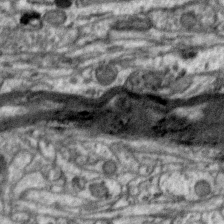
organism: Zebra finch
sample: Brain